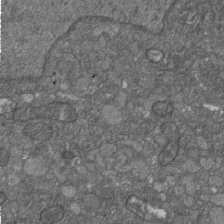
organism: Drosophila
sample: Nephrocyte